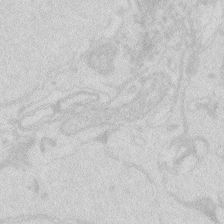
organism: Zebrafish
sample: Macrophage